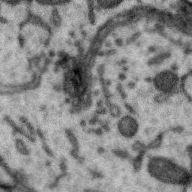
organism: Zebra finch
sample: Brain